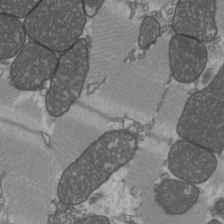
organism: C57BL Mouse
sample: Heart